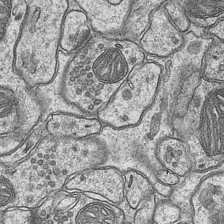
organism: Mouse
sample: CA1 Hippocampus